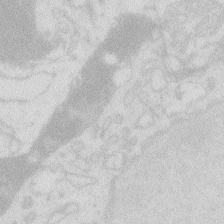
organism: Zebrafish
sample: Macrophage